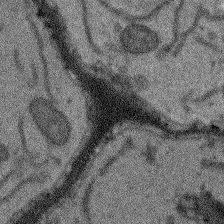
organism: Arabidopsis thaliana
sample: Root tip